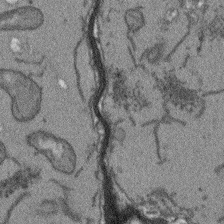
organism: Arabidopsis thaliana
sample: Root tip